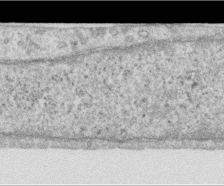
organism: Human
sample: Centriole in RPE cells